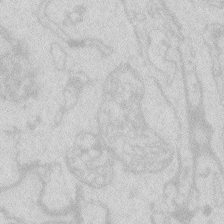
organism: Zebrafish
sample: Macrophage